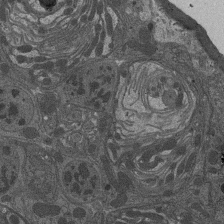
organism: Drosophila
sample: Antenna